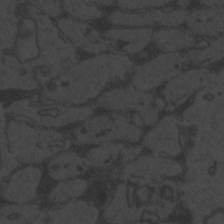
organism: Zebrafish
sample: Macrophage infected with Toxoplasma gondii